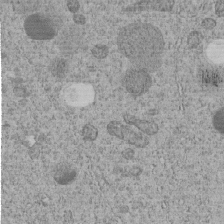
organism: C. elegans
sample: C. elegans embryo early stage